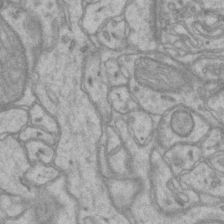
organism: Mouse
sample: CA1 Hippocampus